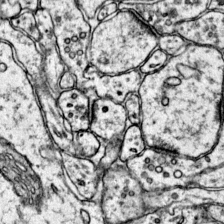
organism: Mouse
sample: Primary visual cortex